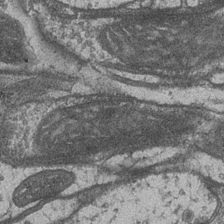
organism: Drosophila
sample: Optic medulla